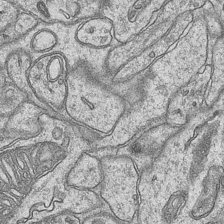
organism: Mouse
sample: CA1 Hippocampus